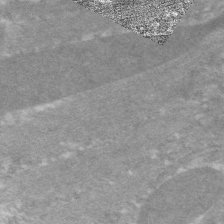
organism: C. elegans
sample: Pharynx